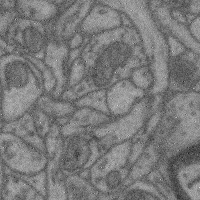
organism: Mouse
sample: Cerebral cortex